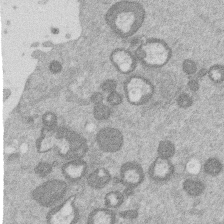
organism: Mouse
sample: Dividing mouse embryo 1 cell stage